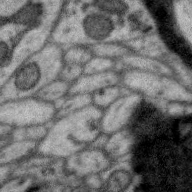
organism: Zebra finch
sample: Brain